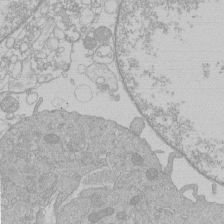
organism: Human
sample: Macrophage cells